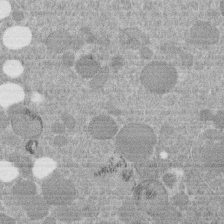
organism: C. elegans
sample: C. elegans embryo early stage